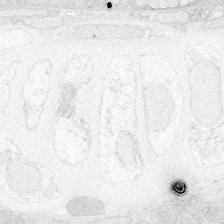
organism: Zebrafish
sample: Whole-Brain